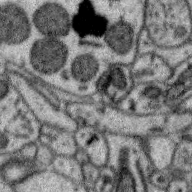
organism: Zebra finch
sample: Brain